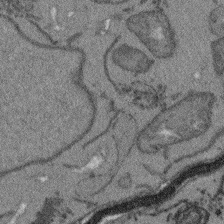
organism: Arabidopsis thaliana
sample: Root tip